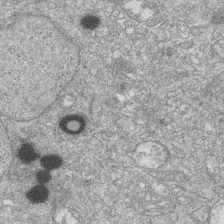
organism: Human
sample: HeLa cell HIV synapse